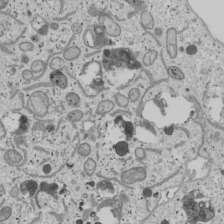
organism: Human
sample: Mitochondria in U2OS cells